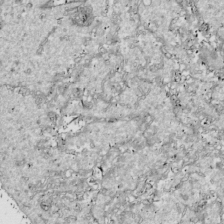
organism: Drosophila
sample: Cell division; meiosis; drosophila spermatocytes